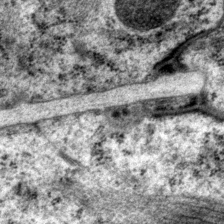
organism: P. pacificus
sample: Pharynx